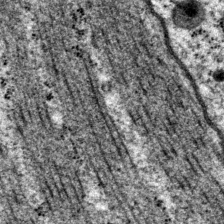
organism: P. pacificus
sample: Pharynx